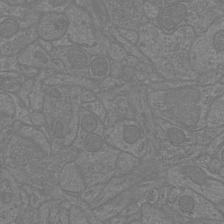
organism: Mouse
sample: Cortical neurons